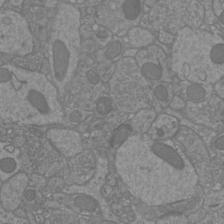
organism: Mouse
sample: Cortical neurons